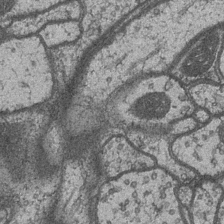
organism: Drosophila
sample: Optic medulla